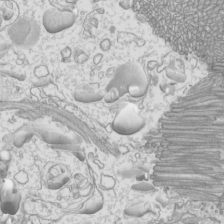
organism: Mouse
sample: Cilia; mouse epididymis